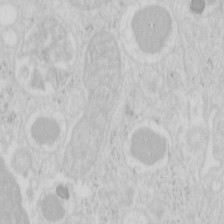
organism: Mouse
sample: Pancreas